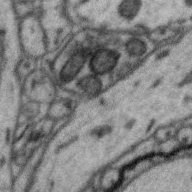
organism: Zebra finch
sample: Brain